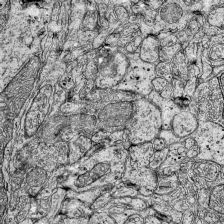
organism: Mouse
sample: Visual Cortex